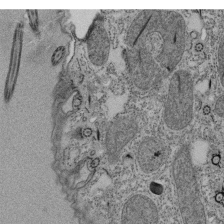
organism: Tetrahymena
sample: Cilia in tetrahymena